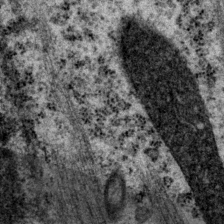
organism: P. pacificus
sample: Pharynx